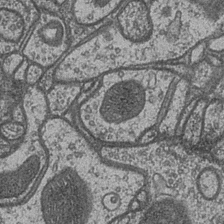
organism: Drosophila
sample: Optic medulla